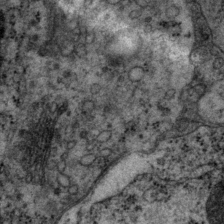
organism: P. pacificus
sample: Pharynx